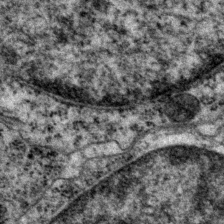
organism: P. pacificus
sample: Pharynx